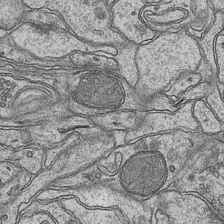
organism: Mouse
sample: CA1 Hippocampus